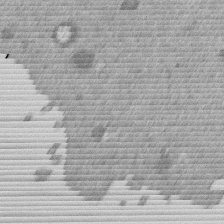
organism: Mouse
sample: Dividing mouse embryo 1 cell stage